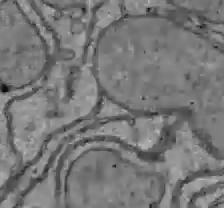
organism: C57BL Mouse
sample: Liver